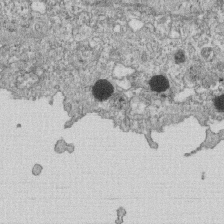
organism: Human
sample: HeLa cell HIV synapse